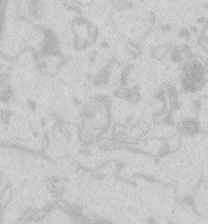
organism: Zebrafish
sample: Macrophage